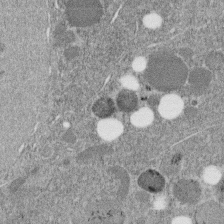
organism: C. elegans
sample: C. elegans embryo early stage